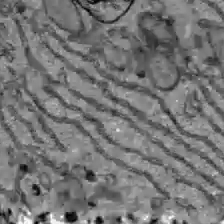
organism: C57BL Mouse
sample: Liver